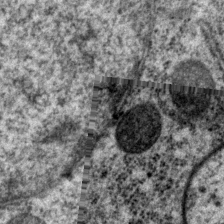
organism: P. pacificus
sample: Pharynx